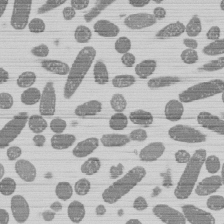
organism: E. coli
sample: Bacterial nucleoid